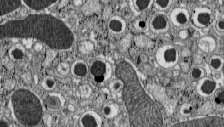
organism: C57BL Mouse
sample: Pancreatic islet